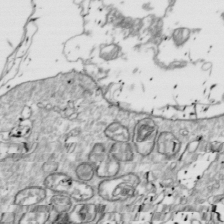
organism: Drosophila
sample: Cell division; meiosis; drosophila spermatocytes